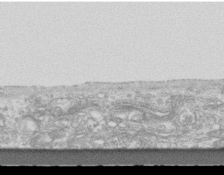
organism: Mouse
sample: Centriole in ependymal cells